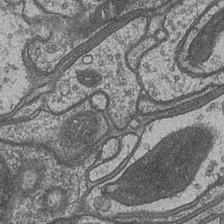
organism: Drosophila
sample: Optic medulla